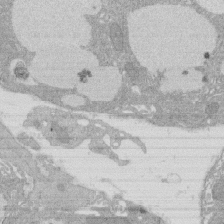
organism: Rat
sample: Salivary granule